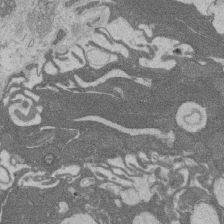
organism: Rat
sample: Salivary granule